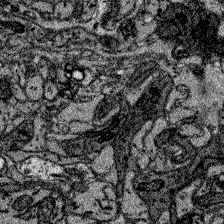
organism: Zebrafish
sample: Larval olfactory bulb